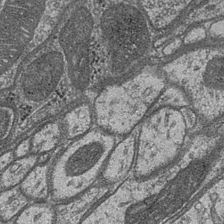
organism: Drosophila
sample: Optic medulla